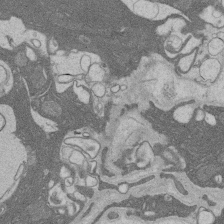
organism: Rat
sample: Salivary granule